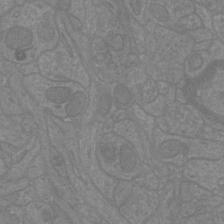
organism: Mouse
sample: Cortical neurons